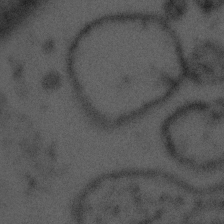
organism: Tuwongella immobilis